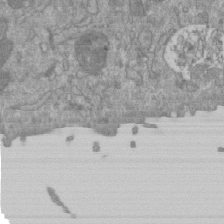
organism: Mouse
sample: ED-1 cell nuclei; centrioles